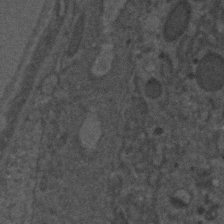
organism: C. elegans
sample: C. elegans embryo